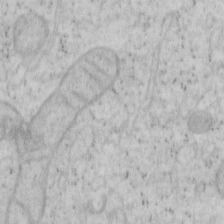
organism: Human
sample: HeLa cells